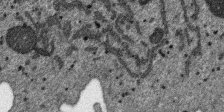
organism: Human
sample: Lung epithelial cells infected with SARS-CoV-2